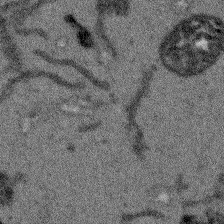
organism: Arabidopsis thaliana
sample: Root tip